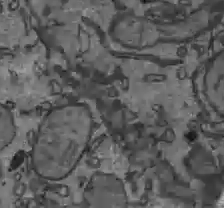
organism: C57BL Mouse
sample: Liver